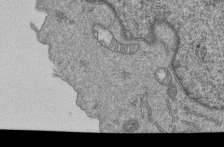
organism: Human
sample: MDA-MB-231 cells